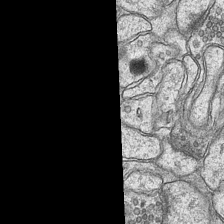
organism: Mouse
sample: CA1 Hippocampus